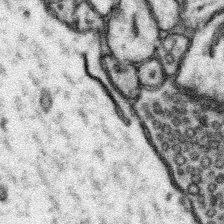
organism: Mouse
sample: Somatosensory cortex neuropil